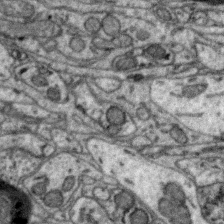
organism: Zebra finch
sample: Brain